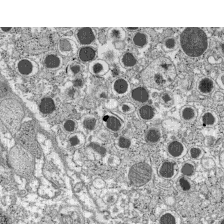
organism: C57BL Mouse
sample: Pancreatic islet